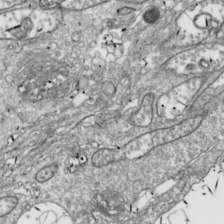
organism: Drosophila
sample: Cell division; meiosis; drosophila spermatocytes